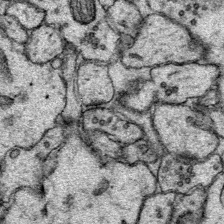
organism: Mouse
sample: Primary visual cortex